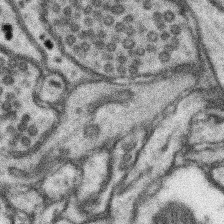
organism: Mouse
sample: Somatosensory cortex neuropil